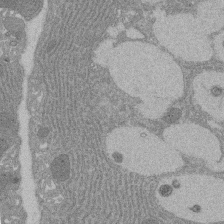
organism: Rat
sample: Salivary granule